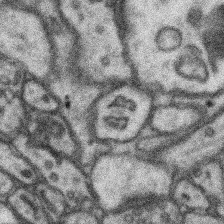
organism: Mouse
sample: Somatosensory cortex neuropil